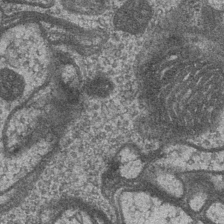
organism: Drosophila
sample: Optic medulla